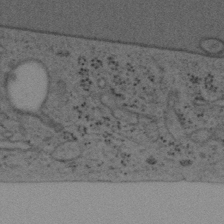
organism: Human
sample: HeLa cells